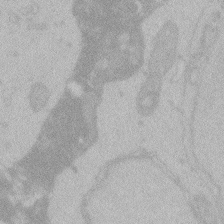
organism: Zebrafish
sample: Macrophage infected with Toxoplasma gondii